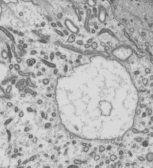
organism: Mouse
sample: Mouse epididymis efferent ductule cilia